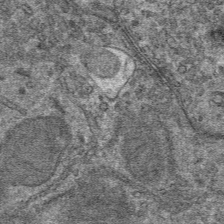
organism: Mouse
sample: Mouse hepatocytes